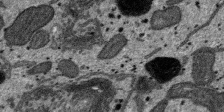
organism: Human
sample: Lung epithelial cells, uninfected (mock) control